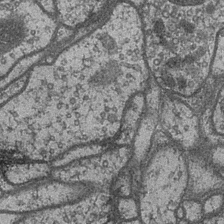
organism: Drosophila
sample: Optic medulla